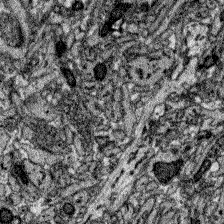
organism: Zebrafish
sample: Larval olfactory bulb